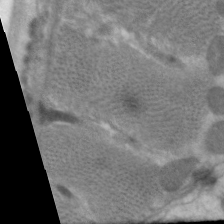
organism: C. elegans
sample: Pharynx